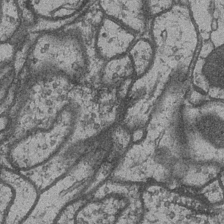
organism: Drosophila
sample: Optic medulla